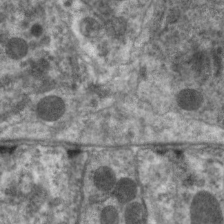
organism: C. elegans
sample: Pharynx